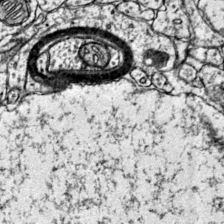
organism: Mouse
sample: Primary visual cortex